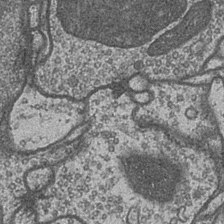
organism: Drosophila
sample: Optic medulla